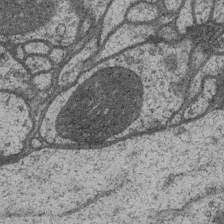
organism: Drosophila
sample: Optic medulla